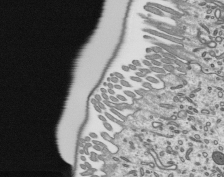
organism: Mouse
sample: Mouse epididymis efferent ductule cilia